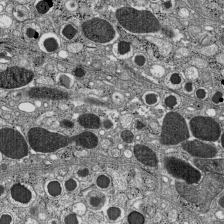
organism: C57BL Mouse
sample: Pancreatic islet